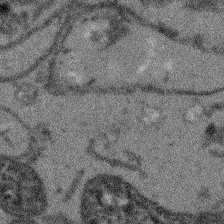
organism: Arabidopsis thaliana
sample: Root tip